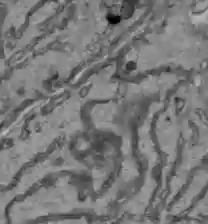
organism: C57BL Mouse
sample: Liver